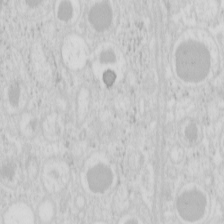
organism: Mouse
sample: Pancreas